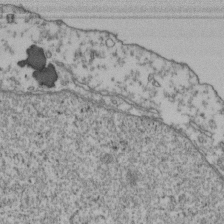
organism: Human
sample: Activated Jurkat CD4+ T cells